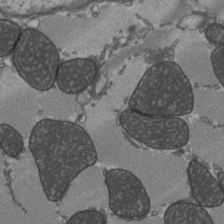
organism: C57BL Mouse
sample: Heart